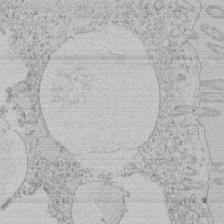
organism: Tetrahymena